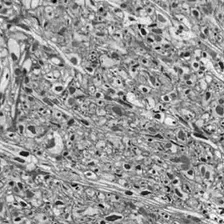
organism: Drosophila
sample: Optic lobe